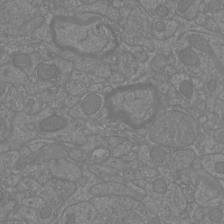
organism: Mouse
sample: Cortical neurons